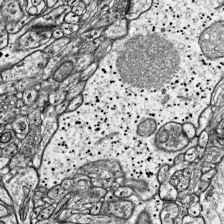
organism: Mouse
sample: Visual Cortex